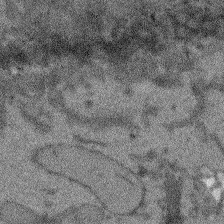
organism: Arabidopsis thaliana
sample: Root tip